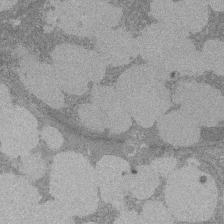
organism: Rat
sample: Salivary granule